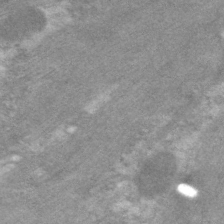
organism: C. elegans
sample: Pharynx